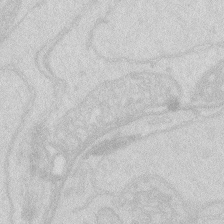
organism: Zebrafish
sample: Macrophage